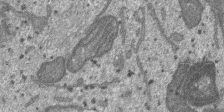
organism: Human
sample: Lung epithelial cells infected with SARS-CoV-2